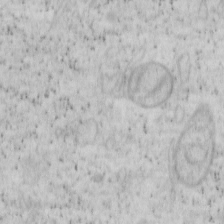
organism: Human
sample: HeLa cells